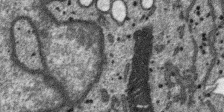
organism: Human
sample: Lung epithelial cells infected with SARS-CoV-2